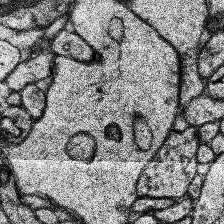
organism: Human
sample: Temporal Lobe